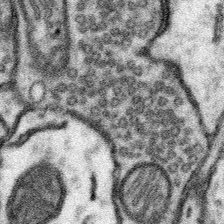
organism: Mouse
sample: Somatosensory cortex neuropil